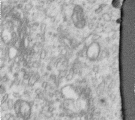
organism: Human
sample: Centriole in RPE cells